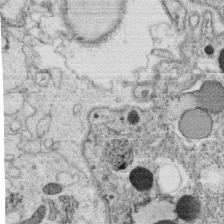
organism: C. elegans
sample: C. elegans oocyte; sperm cells